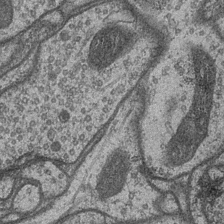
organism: Drosophila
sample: Optic medulla